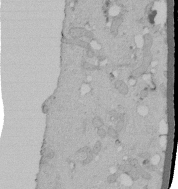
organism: Human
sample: Melanocyte Keratinocyte synapse skin construct